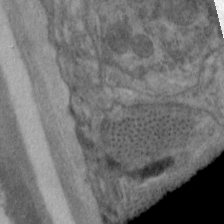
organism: C. elegans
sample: Pharynx